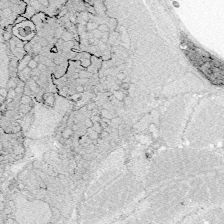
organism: Zebrafish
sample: Whole-Brain